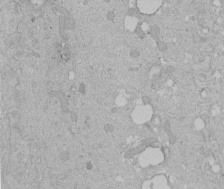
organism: Human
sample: Melanocyte Keratinocyte synapse skin construct